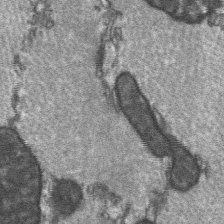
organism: C57BL Mouse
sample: Soleus